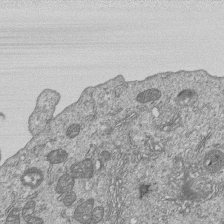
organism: Human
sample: MDA-MB-231 cells